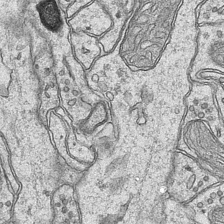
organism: Mouse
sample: CA1 Hippocampus